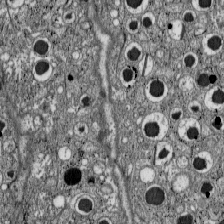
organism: C57BL Mouse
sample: Pancreatic islet